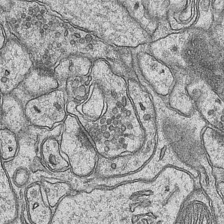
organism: Mouse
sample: CA1 Hippocampus